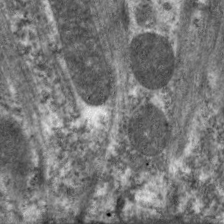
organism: C. elegans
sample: Pharynx